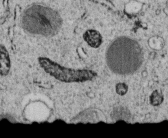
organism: C. elegans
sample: C. elegans embryo early stage